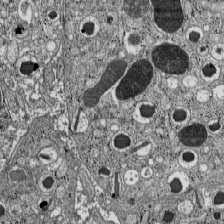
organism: C57BL Mouse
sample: Pancreatic islet